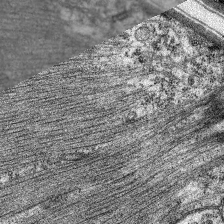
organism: C. elegans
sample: Pharynx